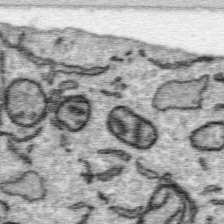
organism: Human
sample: HeLa cells